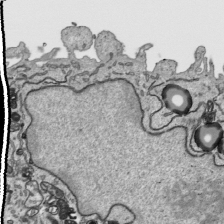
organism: Human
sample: Mitochondria in HCT116 cells